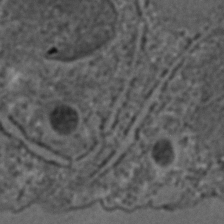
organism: C. elegans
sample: C. elegans embryo